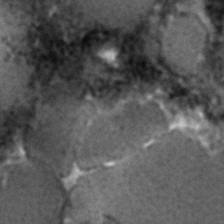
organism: C. elegans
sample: C. elegans embryo